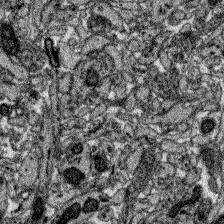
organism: Zebrafish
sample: Larval olfactory bulb